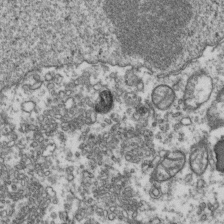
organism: Human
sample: Activated Jurkat CD4+ T cells